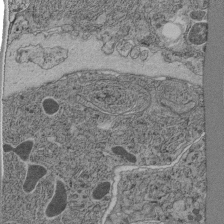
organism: C. elegans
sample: C. elegans pharynx